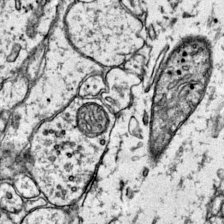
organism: Mouse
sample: Primary visual cortex